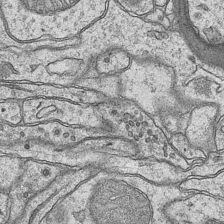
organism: Mouse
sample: CA1 Hippocampus